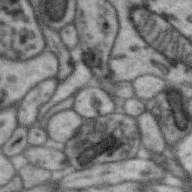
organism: Zebra finch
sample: Brain